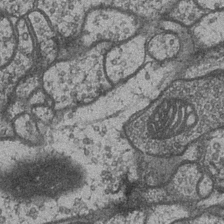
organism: Drosophila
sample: Optic medulla